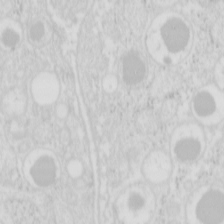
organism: Mouse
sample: Pancreas